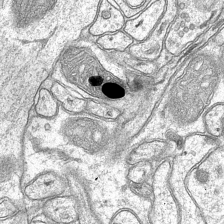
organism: Mouse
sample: CA1 Hippocampus